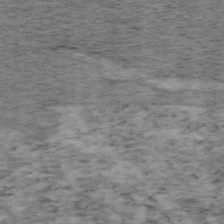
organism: Mouse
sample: OT-I killer T cells with ID8 ovarian cancer cells